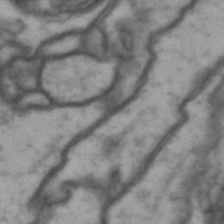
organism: Drosophila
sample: Brain